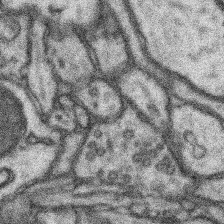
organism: Mouse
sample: Somatosensory cortex neuropil